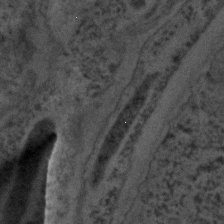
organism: C. elegans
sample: C. elegans embryo